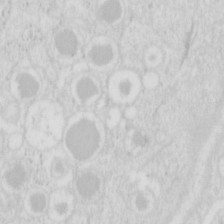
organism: Mouse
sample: Pancreas